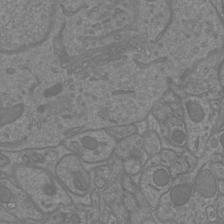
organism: Mouse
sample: Cortical neurons